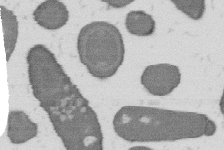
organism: B. subtilis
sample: Bacterial spore